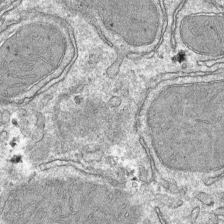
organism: Mouse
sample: Mouse hepatocytes